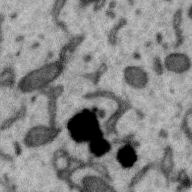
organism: Zebra finch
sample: Brain